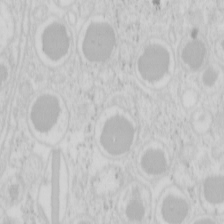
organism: Mouse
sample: Pancreas